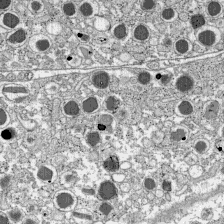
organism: C57BL Mouse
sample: Pancreatic islet